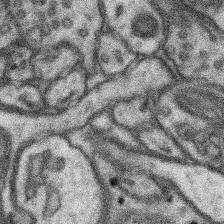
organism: Mouse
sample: Somatosensory cortex neuropil